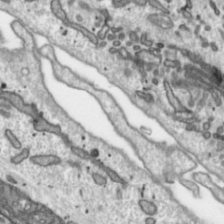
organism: Toxoplasma gondii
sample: Parasites in a vacuole inside a host cell